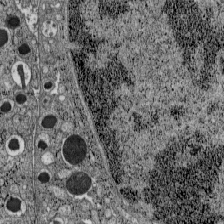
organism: C57BL Mouse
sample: Pancreatic islet